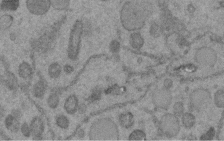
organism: C. elegans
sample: C. elegans embryo early stage